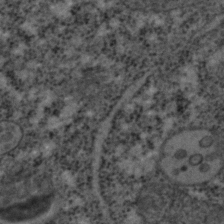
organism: C. elegans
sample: C. elegans embryo